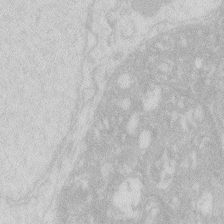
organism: Zebrafish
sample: Macrophage